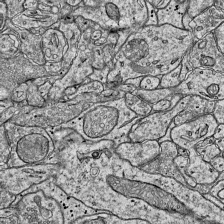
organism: Mouse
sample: Visual Cortex